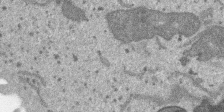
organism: Human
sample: Lung epithelial cells infected with SARS-CoV-2